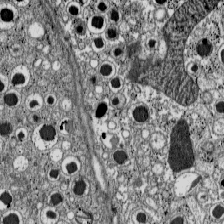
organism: C57BL Mouse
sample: Pancreatic islet